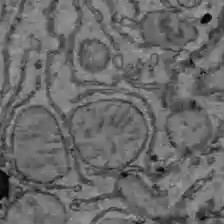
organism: C57BL Mouse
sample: Liver